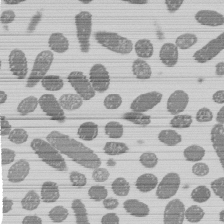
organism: E. coli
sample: Bacterial nucleoid